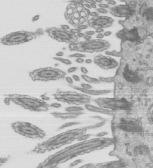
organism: Mouse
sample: Mouse epididymis efferent ductule cilia